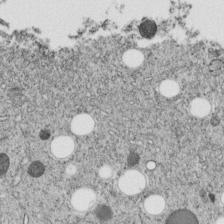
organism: C. elegans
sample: C. elegans embryo early stage